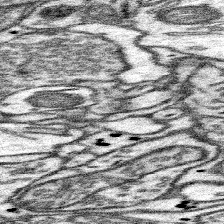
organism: Mouse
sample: Somatosensory cortex neuropil